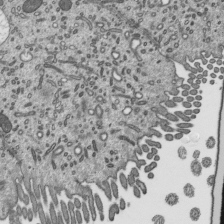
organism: Mouse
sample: Mouse epididymis efferent ductule cilia